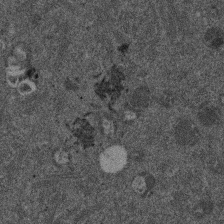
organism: Mouse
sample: Dividing mouse embryo 1 cell stage